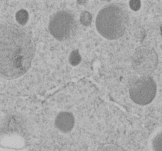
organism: C. elegans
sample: C. elegans embryo early stage